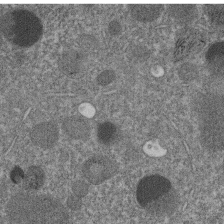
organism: C. elegans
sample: C. elegans embryo early stage